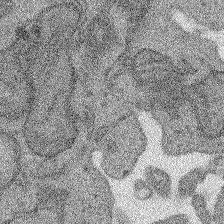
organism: Human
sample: HeLa cells